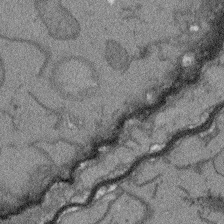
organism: Arabidopsis thaliana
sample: Root tip